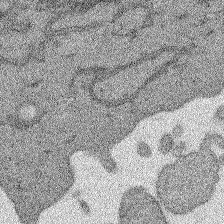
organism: Human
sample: HeLa cells